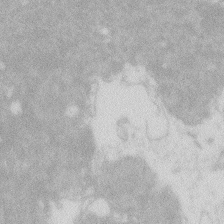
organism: Zebrafish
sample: Macrophage